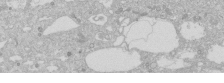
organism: Human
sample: Caco-2 cells